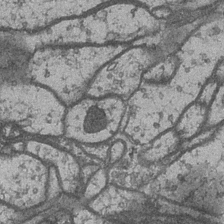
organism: Drosophila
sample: Optic medulla